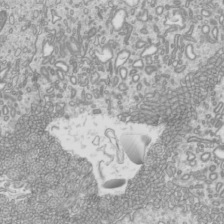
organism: Mouse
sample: Cilia; mouse epididymis